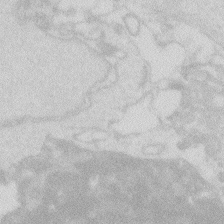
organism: Zebrafish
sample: Macrophage